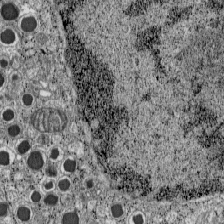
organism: C57BL Mouse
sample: Pancreatic islet